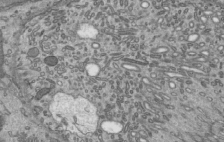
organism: Mouse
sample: Mouse epididymis efferent ductule cilia